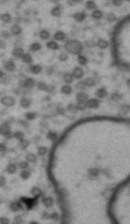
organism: Drosophila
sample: Brain